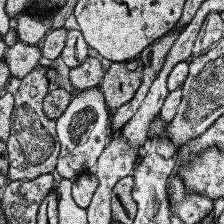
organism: Human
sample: Temporal Lobe